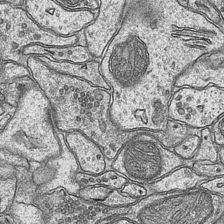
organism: Mouse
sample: CA1 Hippocampus